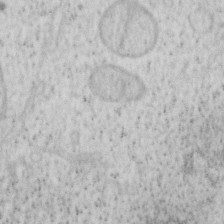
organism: Human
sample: HeLa cells